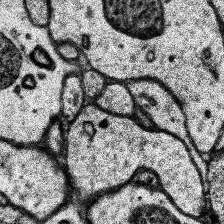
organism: Human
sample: Temporal Lobe